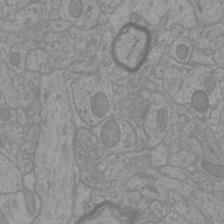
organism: Mouse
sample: Cortical neurons